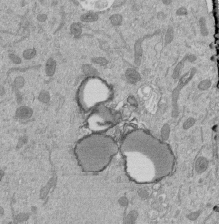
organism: Mouse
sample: ED-1 cell nuclei; centrioles